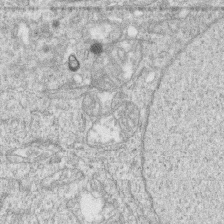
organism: Human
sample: HeLa cell HIV synapse